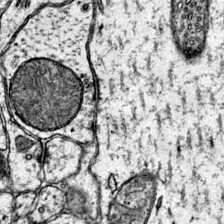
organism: Mouse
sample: Primary visual cortex